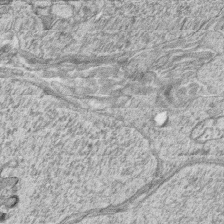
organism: Zebrafish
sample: synaptic ribbons in rod cells and cone cells